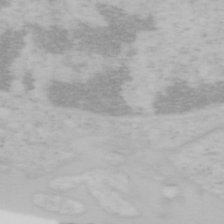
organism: Mouse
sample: OT-I killer T cells with ID8 ovarian cancer cells